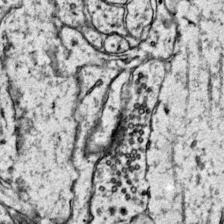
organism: Mouse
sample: Primary visual cortex